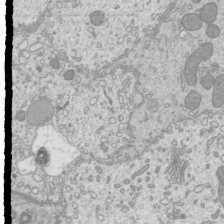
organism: Mouse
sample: Cilia; mouse epididymis